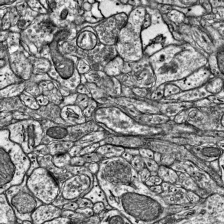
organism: Mouse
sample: Visual Cortex